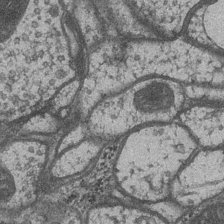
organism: Drosophila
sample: Optic medulla